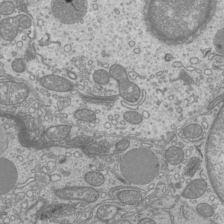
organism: Mouse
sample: Cilia; mouse epididymis